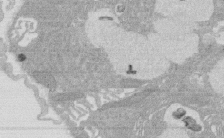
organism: Rat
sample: Salivary granule